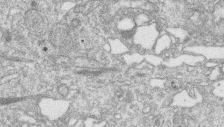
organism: Human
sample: HeLa cell HIV synapse